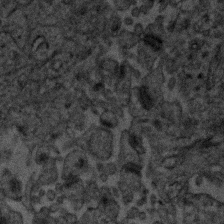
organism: Human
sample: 1205lu cells